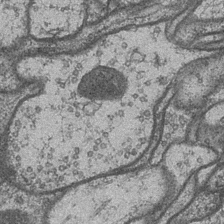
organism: Drosophila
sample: Optic medulla